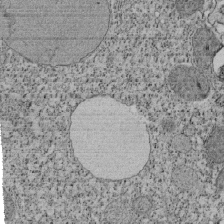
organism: Tetrahymena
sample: Cilia in tetrahymena